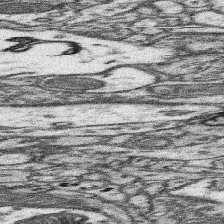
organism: Mouse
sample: Somatosensory cortex neuropil